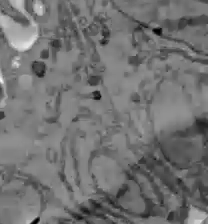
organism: C57BL Mouse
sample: Liver